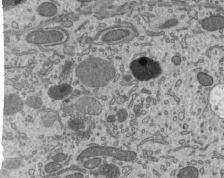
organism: Mouse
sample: Mouse epididymis efferent ductule cilia